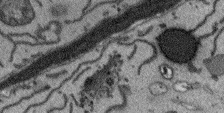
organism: Arabidopsis thaliana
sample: Root tip